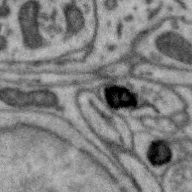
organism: Zebra finch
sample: Brain